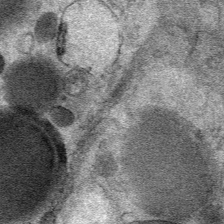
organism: Mouse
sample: Mouse Salivary gland